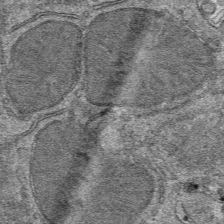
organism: Mouse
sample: Mouse hepatocytes